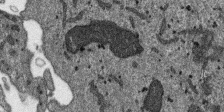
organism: Human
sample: Lung epithelial cells infected with SARS-CoV-2